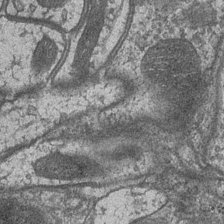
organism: Drosophila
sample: Optic medulla